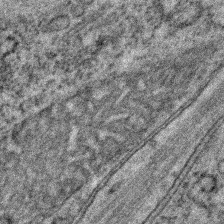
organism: C. elegans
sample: C. elegans embryo